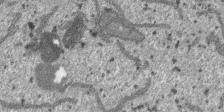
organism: Human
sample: Lung epithelial cells infected with SARS-CoV-2